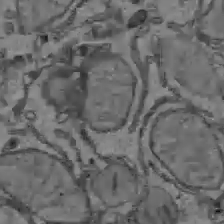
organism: C57BL Mouse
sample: Liver